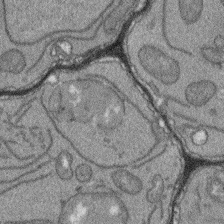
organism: Arabidopsis thaliana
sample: Root tip